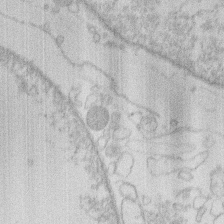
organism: Human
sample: Macrophage cells